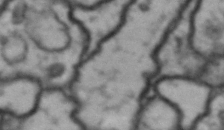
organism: Drosophila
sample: Brain